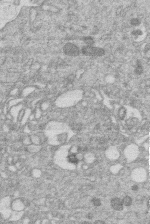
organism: Human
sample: Macrophage cells